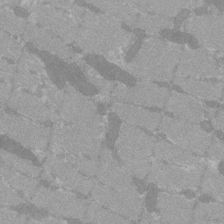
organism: C57BL Mouse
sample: Tibialis anterior muscle cell